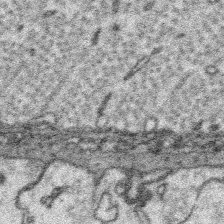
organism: Platynereis dumerilii